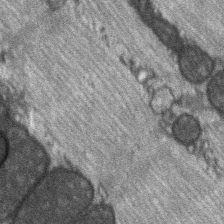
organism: C57BL Mouse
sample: Soleus